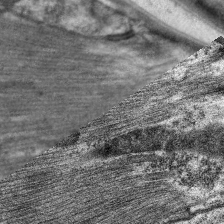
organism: C. elegans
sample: Pharynx